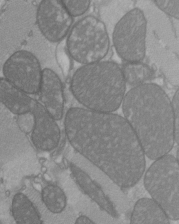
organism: C57BL Mouse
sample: Heart